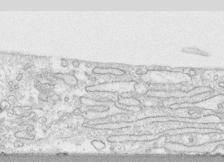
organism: Human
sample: CRL-1474